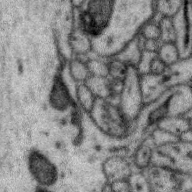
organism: Zebra finch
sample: Brain